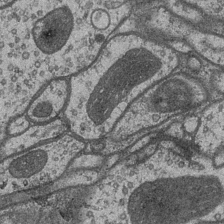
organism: Drosophila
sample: Optic medulla